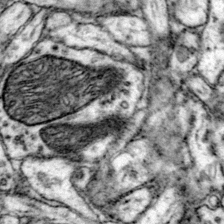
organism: Mouse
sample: Primary visual cortex